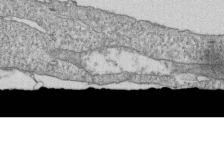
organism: Human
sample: HeLa cell HIV synapse